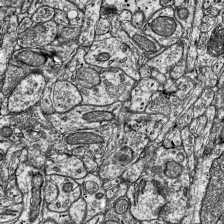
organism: Mouse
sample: Visual Cortex